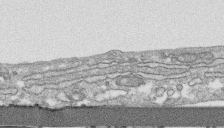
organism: Human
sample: CRL-1474